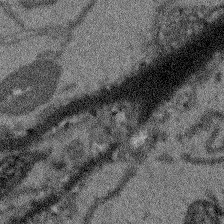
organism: Arabidopsis thaliana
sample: Root tip